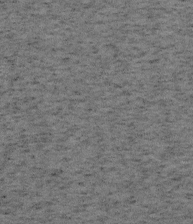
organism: Mouse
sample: OT-I killer T cells with ID8 ovarian cancer cells